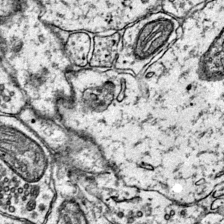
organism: Mouse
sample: Primary visual cortex